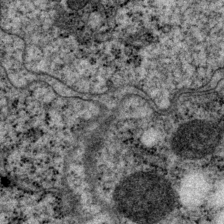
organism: P. pacificus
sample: Pharynx